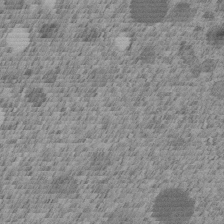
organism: C. elegans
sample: C. elegans embryo early stage